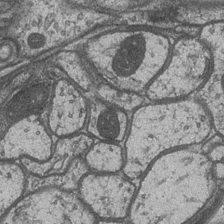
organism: Drosophila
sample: Optic medulla